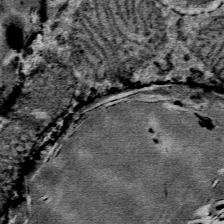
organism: Mouse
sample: Mouse Salivary gland